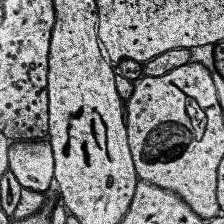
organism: Human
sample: Temporal Lobe